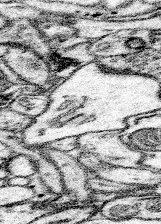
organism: Mouse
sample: Somatosensory cortex neuropil